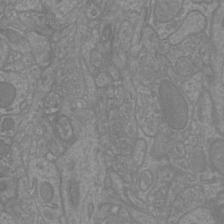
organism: Mouse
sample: Cortical neurons